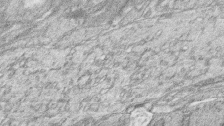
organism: Zebrafish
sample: synaptic ribbons in rod cells and cone cells